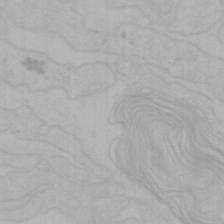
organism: Mouse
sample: Choroid plexus